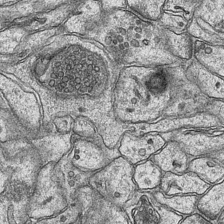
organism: Mouse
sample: CA1 Hippocampus